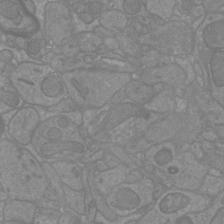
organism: Mouse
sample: Cortical neurons